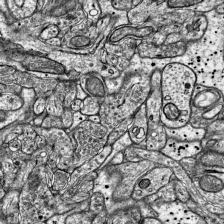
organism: Mouse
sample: Visual Cortex